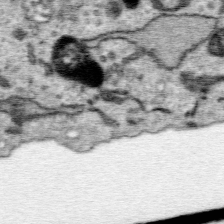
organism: Human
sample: HeLa cells